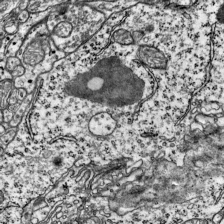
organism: Mouse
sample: Visual Cortex